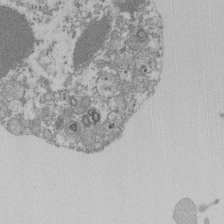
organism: Mouse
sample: Activated Pmel transgenic CD8+ T Cells